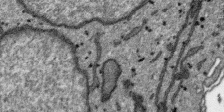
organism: Human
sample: Lung epithelial cells, uninfected (mock) control